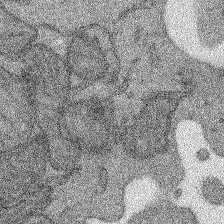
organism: Human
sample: HeLa cells